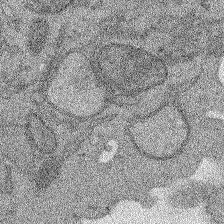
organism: Human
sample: HeLa cells